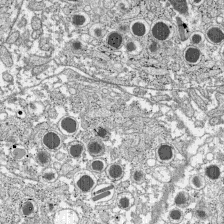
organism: C57BL Mouse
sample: Pancreatic islet